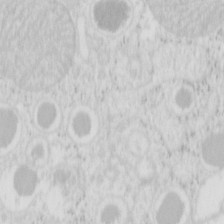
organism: Mouse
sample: Pancreas